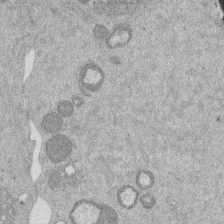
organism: Mouse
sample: Dividing mouse embryo 1 cell stage